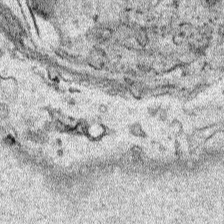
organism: Human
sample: Mitochondria in HCT116 cells